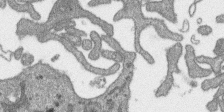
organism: Human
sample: Lung epithelial cells infected with SARS-CoV-2